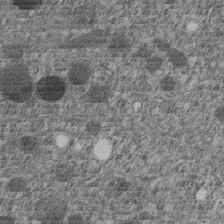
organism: C. elegans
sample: C. elegans embryo early stage